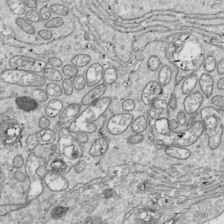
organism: Drosophila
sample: Cell division; meiosis; drosophila spermatocytes